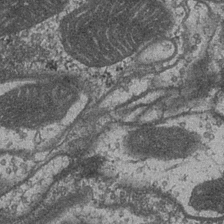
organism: Drosophila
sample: Optic medulla